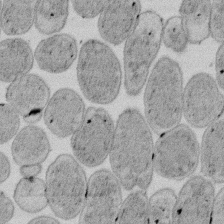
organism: E. coli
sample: Bacterial nucleoid